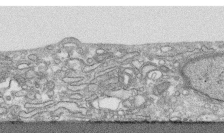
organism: Human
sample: CRL-1474